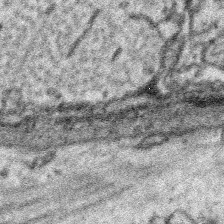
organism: Platynereis dumerilii